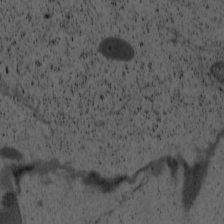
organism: African green monkey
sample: COS-7 cells